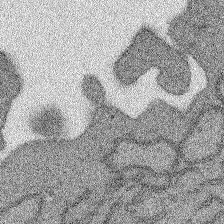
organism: Human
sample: HeLa cells